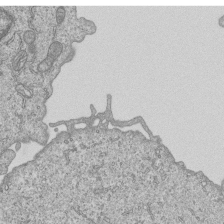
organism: Human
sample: MDA-MB-231 cells